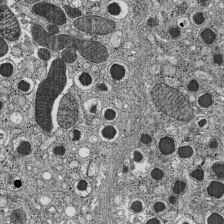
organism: C57BL Mouse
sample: Pancreatic islet